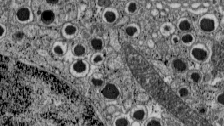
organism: C57BL Mouse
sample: Pancreatic islet